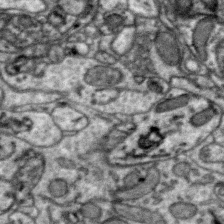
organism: Zebra finch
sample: Brain